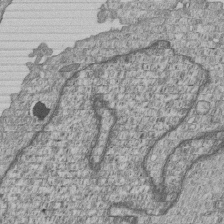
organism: Human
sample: MDA-MB-231 cells